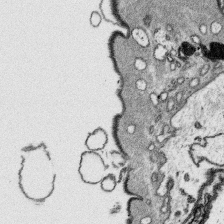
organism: Platynereis dumerilii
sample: Parapodia